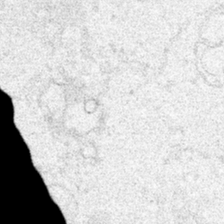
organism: Human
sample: Mitochondria in HCT116 cells